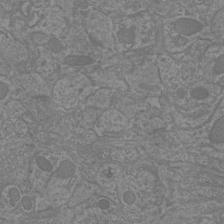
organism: Mouse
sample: Cortical neurons